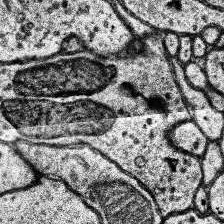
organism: Human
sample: Temporal Lobe